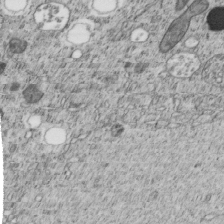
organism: C. elegans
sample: C. elegans embryo early stage